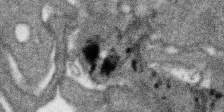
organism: Human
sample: Lung epithelial cells infected with SARS-CoV-2